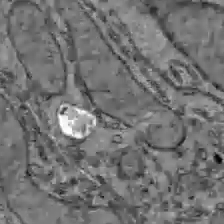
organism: C57BL Mouse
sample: Liver